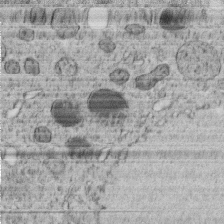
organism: C. elegans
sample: C. elegans embryo early stage